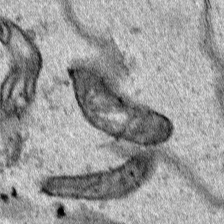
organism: Human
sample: Mitochondria in HCT116 cells